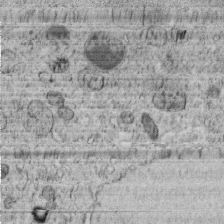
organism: C. elegans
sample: C. elegans embryo early stage